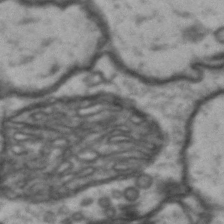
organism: Drosophila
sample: Brain